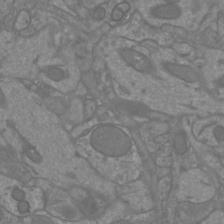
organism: Mouse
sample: Cortical neurons